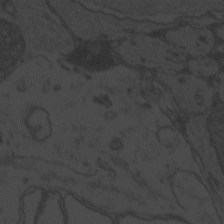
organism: Zebrafish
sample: Macrophage infected with Toxoplasma gondii